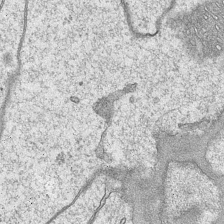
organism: Mouse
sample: CA1 Hippocampus